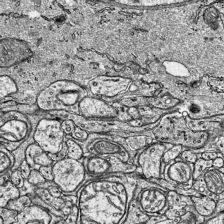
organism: Mouse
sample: Visual Cortex